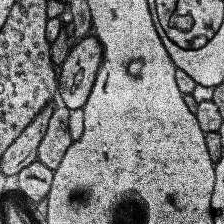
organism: Human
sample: Temporal Lobe